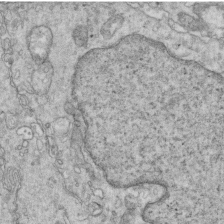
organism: Mouse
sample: Multiciliated cells